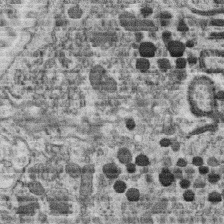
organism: C. elegans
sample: C. elegans oocyte; sperm cells